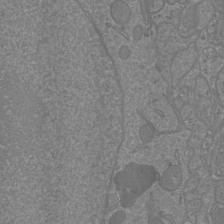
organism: Mouse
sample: Cortical neurons